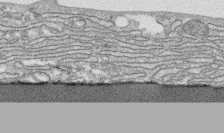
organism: Human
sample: CRL-1474